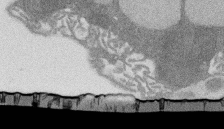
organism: Rat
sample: Salivary granule